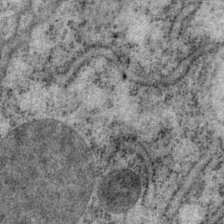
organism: P. pacificus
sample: Pharynx